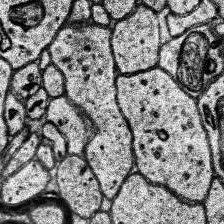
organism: Human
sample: Temporal Lobe